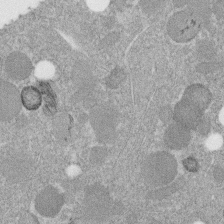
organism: C. elegans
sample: C. elegans embryo early stage